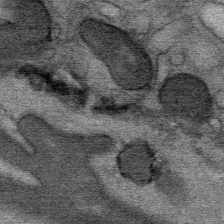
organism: Mouse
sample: Mouse Salivary gland